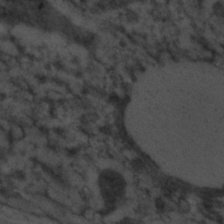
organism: C. elegans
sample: C. elegans embryo